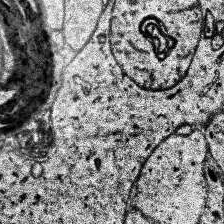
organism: Human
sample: Temporal Lobe